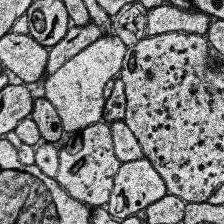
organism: Human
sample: Temporal Lobe